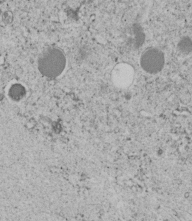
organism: C. elegans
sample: C. elegans embryo early stage